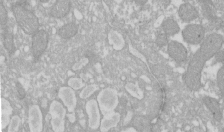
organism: Xenopus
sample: Cilia; centrioles in frog embryo cells